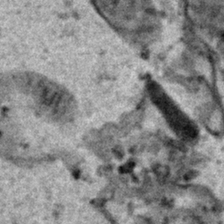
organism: Human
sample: Mitochondria in HCT116 cells